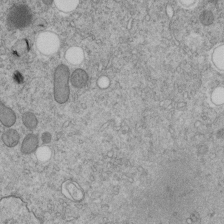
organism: C. elegans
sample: C. elegans embryo early stage